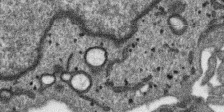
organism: Human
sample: Lung epithelial cells infected with SARS-CoV-2